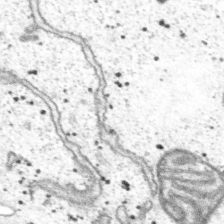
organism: Human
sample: HeLa cells